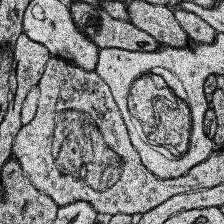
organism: Human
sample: Temporal Lobe